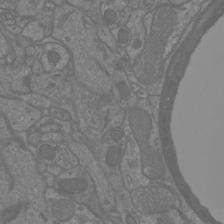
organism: Mouse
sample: Cortical neurons